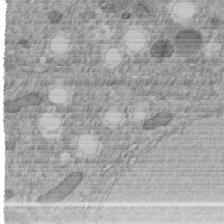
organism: C. elegans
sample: C. elegans embryo early stage